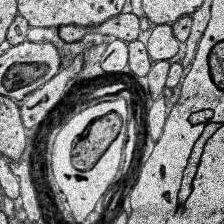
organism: Human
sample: Temporal Lobe